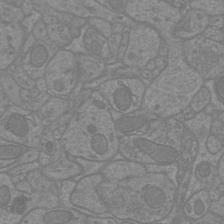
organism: Mouse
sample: Cortical neurons